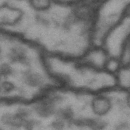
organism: Drosophila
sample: Brain